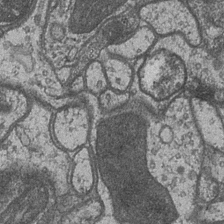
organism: Drosophila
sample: Optic medulla